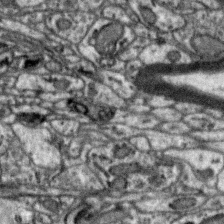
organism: Zebra finch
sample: Brain